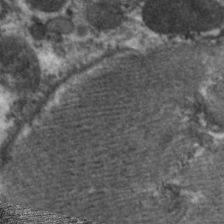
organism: C. elegans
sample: Pharynx